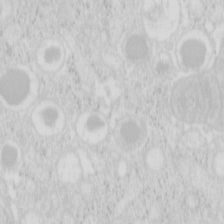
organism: Mouse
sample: Pancreas